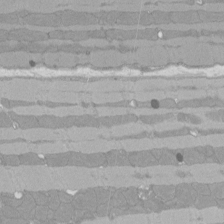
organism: Rat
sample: Left ventricle